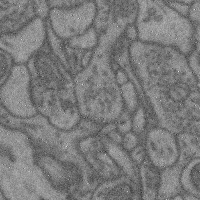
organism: Mouse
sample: Cerebral cortex